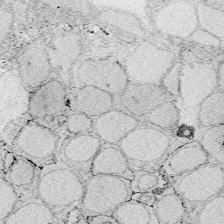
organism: Zebrafish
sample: Whole-Brain